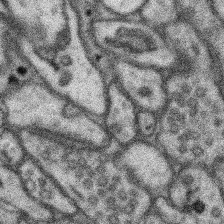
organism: Mouse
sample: Somatosensory cortex neuropil